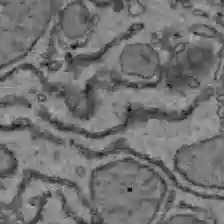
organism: C57BL Mouse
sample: Liver